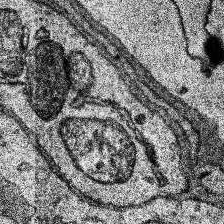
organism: Human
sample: Temporal Lobe